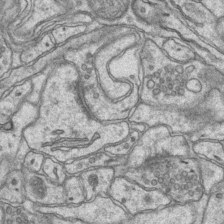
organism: Mouse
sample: CA1 Hippocampus